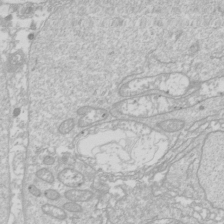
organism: Drosophila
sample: Cell division; meiosis; drosophila spermatocytes